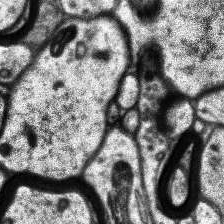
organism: Human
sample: Temporal Lobe